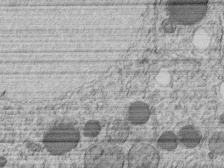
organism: C. elegans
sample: C. elegans embryo early stage